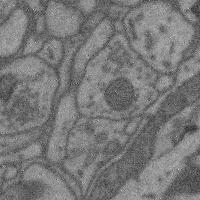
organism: Mouse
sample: Cerebral cortex